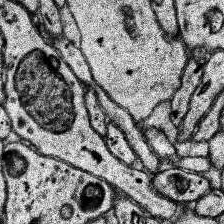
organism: Human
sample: Temporal Lobe